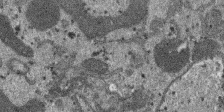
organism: Human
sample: Lung epithelial cells infected with SARS-CoV-2